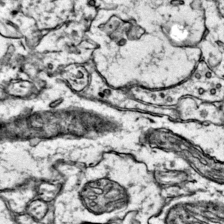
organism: Mouse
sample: Primary visual cortex